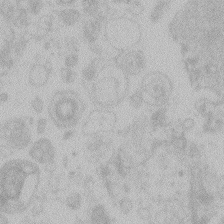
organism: Zebrafish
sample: Macrophage infected with Toxoplasma gondii